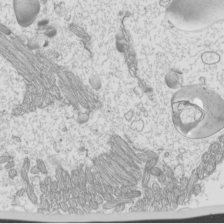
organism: Mouse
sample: Cilia; mouse epididymis